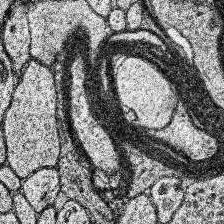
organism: Human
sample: Temporal Lobe